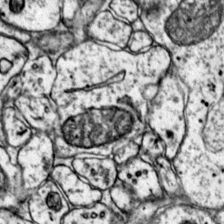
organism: Mouse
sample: Primary visual cortex